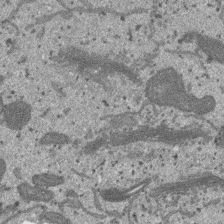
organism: Human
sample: Lung epithelial cells infected with SARS-CoV-2